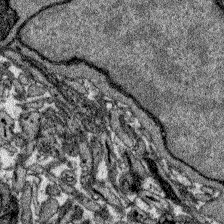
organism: Zebrafish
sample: Larval olfactory bulb